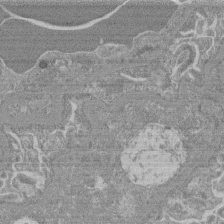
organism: Mouse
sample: Glomerulus